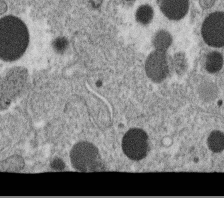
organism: C. elegans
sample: C. elegans oocyte; sperm cells